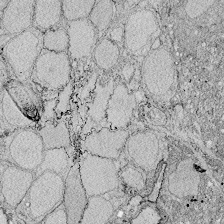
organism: Zebrafish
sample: Whole-Brain